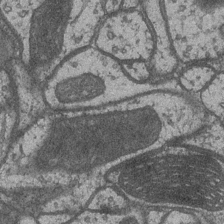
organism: Drosophila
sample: Optic medulla